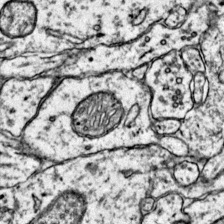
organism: Mouse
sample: Primary visual cortex